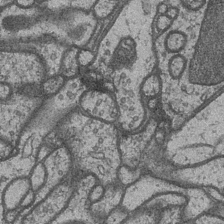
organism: Drosophila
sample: Optic medulla